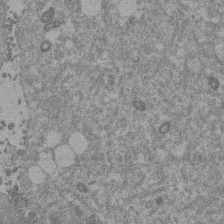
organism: Mouse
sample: Dividing mouse embryo 1 cell stage